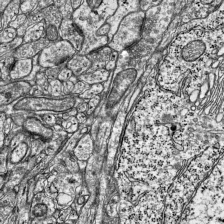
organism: Mouse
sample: Visual Cortex